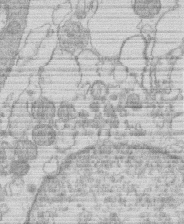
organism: Human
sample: Macrophage cells